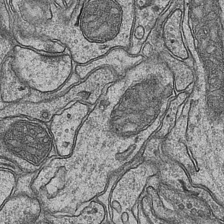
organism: Mouse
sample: CA1 Hippocampus